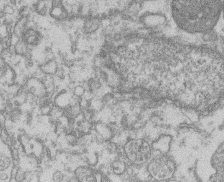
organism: Mouse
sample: T cell stromal cell synapse